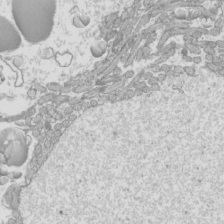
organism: Mouse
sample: Cilia; mouse epididymis